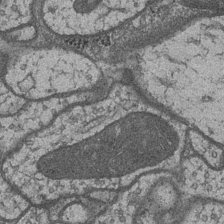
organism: Drosophila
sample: Optic medulla